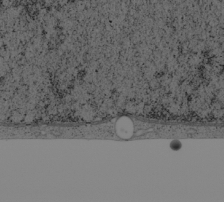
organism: African green monkey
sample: COS-7 cells